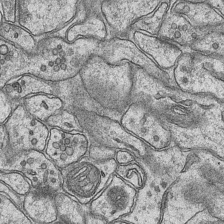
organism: Mouse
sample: CA1 Hippocampus